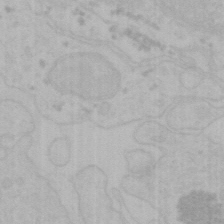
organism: Mouse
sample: Choroid plexus